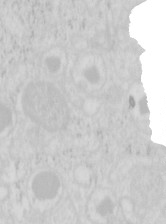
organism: Mouse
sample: Pancreas